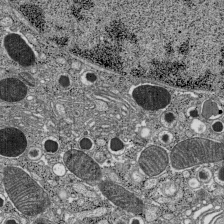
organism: C57BL Mouse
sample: Pancreatic islet